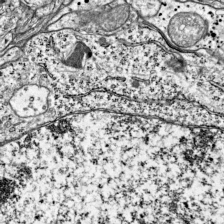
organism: Mouse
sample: Visual Cortex